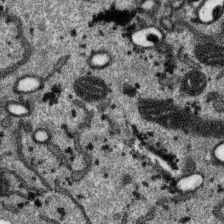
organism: Human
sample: Lung epithelial cells infected with SARS-CoV-2